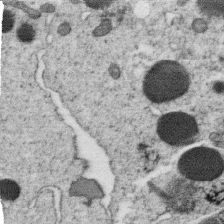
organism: C. elegans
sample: C. elegans oocyte; sperm cells